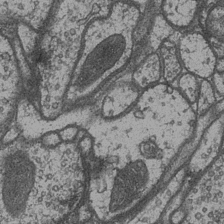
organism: Drosophila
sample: Optic medulla